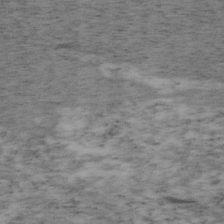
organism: Mouse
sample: OT-I killer T cells with ID8 ovarian cancer cells